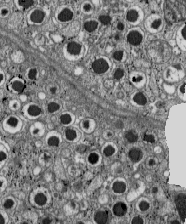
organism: C57BL Mouse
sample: Pancreatic islet